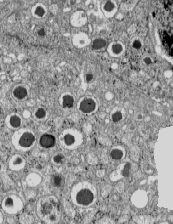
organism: C57BL Mouse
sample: Pancreatic islet